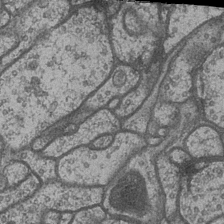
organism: Drosophila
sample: Optic medulla